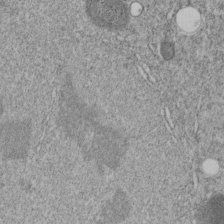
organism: C. elegans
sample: C. elegans embryo early stage